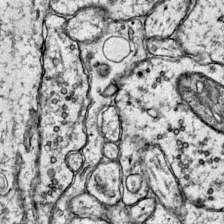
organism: Mouse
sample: Primary visual cortex